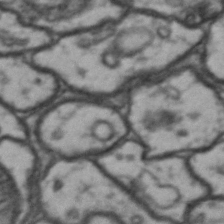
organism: Drosophila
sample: Brain